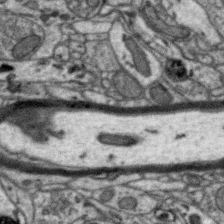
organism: Zebra finch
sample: Brain